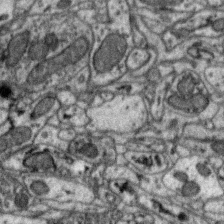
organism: Zebra finch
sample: Brain